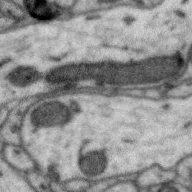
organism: Zebra finch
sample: Brain